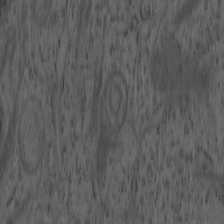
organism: Human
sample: HeLa cells